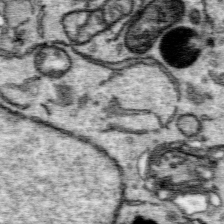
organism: Human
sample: HeLa cells